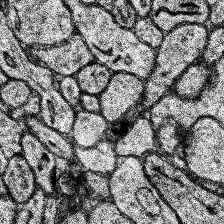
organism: Human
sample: Temporal Lobe